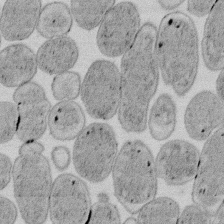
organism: E. coli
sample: Bacterial nucleoid